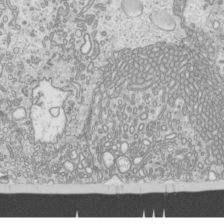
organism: Mouse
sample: Cilia; mouse epididymis